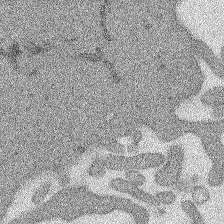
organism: Human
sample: HeLa cells